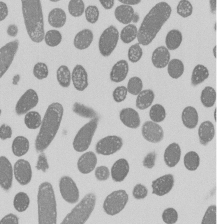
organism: E. coli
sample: Bacterial nucleoid